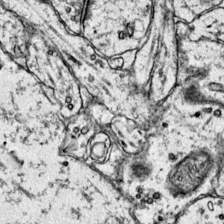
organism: Mouse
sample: Primary visual cortex